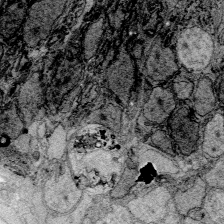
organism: Zebrafish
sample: Whole-Brain